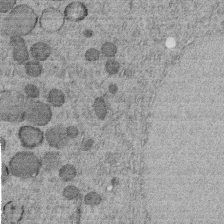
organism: C. elegans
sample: C. elegans embryo early stage